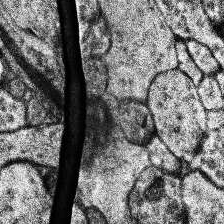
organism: Human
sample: Temporal Lobe